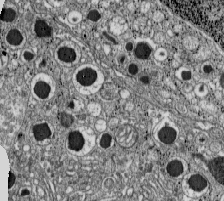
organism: C57BL Mouse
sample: Pancreatic islet